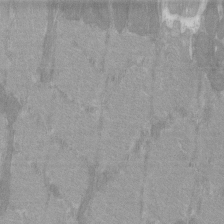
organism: C57BL Mouse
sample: Tibialis anterior muscle cell